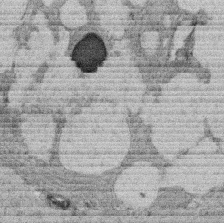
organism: Rat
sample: Salivary granule